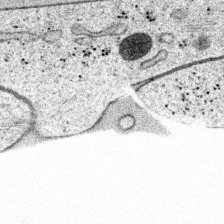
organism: Human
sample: HeLa cells